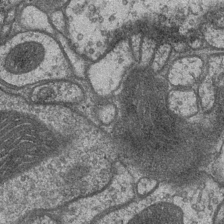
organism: Drosophila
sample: Optic medulla